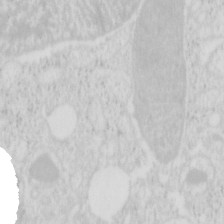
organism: Mouse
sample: Pancreas